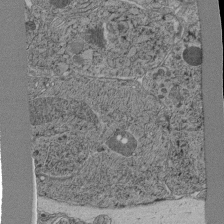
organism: C. elegans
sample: C. elegans pharynx